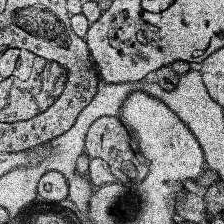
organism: Human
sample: Temporal Lobe